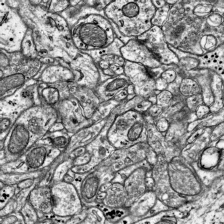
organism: Mouse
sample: Visual Cortex